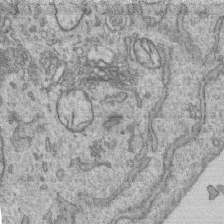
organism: Human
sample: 1205lu cells